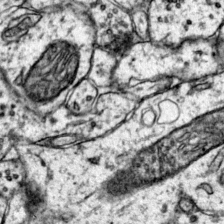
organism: Mouse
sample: Primary visual cortex